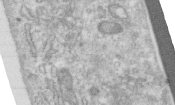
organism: Human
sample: Centriole in RPE cells